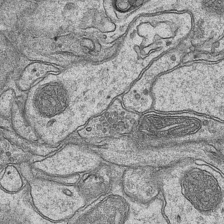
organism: Mouse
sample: CA1 Hippocampus